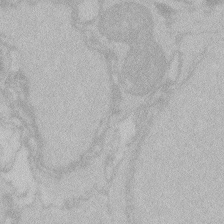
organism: Zebrafish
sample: Macrophage infected with Toxoplasma gondii